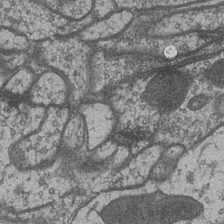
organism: Drosophila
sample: Optic medulla